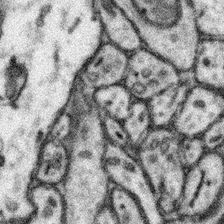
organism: Mouse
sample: Somatosensory cortex neuropil